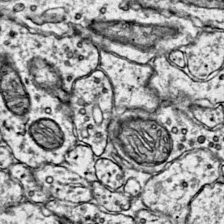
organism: Mouse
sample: Primary visual cortex